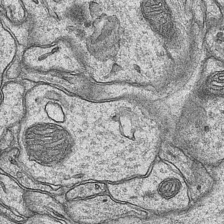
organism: Mouse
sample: CA1 Hippocampus